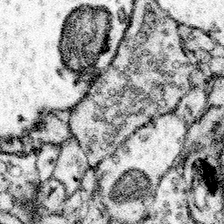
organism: Mouse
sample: Somatosensory cortex neuropil